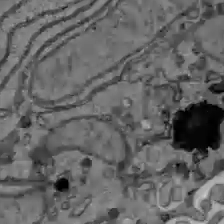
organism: C57BL Mouse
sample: Liver